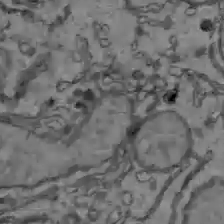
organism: C57BL Mouse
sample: Liver